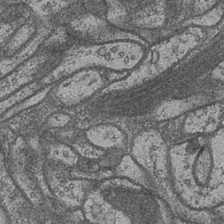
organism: Drosophila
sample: Optic medulla